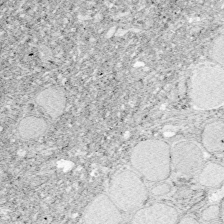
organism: Zebrafish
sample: Whole-Brain